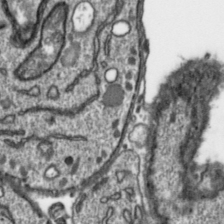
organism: Toxoplasma gondii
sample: Parasites in a vacuole inside a host cell